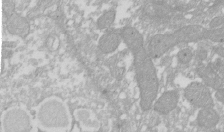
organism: Xenopus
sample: Cilia; centrioles in frog embryo cells